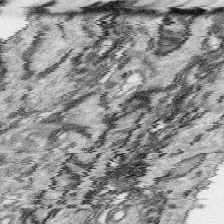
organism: Human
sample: HeLa cells